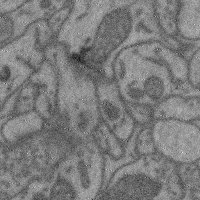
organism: Mouse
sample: Cerebral cortex